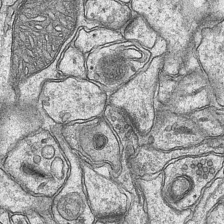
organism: Mouse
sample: CA1 Hippocampus